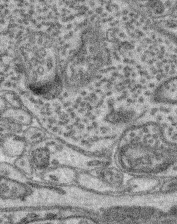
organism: Mouse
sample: Retina